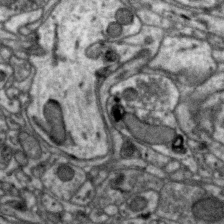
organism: Zebra finch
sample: Brain